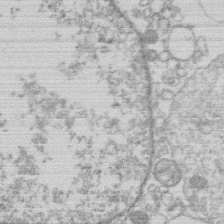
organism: Human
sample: Macrophage cells